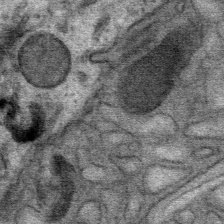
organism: Mouse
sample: Mouse Salivary gland